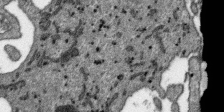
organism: Human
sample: Lung epithelial cells, uninfected (mock) control